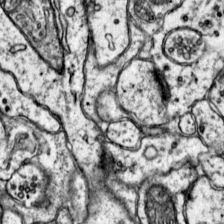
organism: Mouse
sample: Primary visual cortex